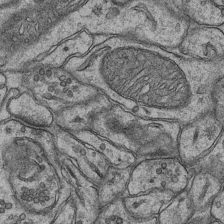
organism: Mouse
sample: CA1 Hippocampus